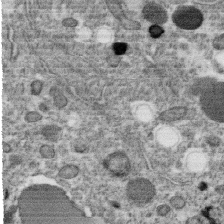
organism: C. elegans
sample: C. elegans oocyte; sperm cells